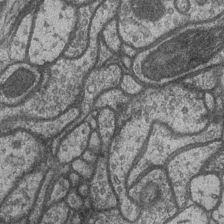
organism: Drosophila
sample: Optic medulla